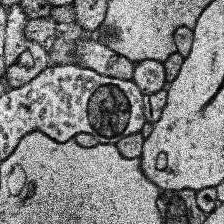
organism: Human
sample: Temporal Lobe